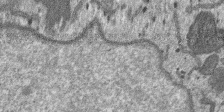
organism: Human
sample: Lung epithelial cells infected with SARS-CoV-2